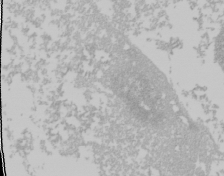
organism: Mouse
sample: Cancer cell death in ED-1 cells